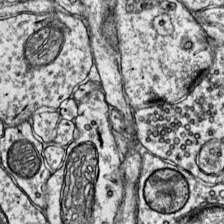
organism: Mouse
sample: Primary visual cortex